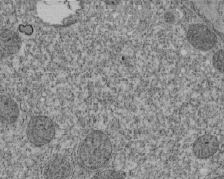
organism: Tetrahymena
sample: Cilia in tetrahymena